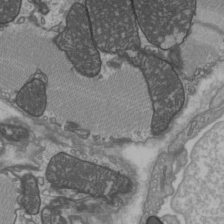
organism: C57BL Mouse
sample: Heart